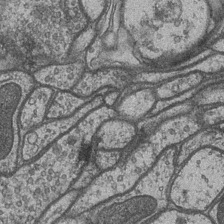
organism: Drosophila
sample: Optic medulla